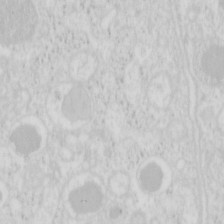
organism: Mouse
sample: Pancreas